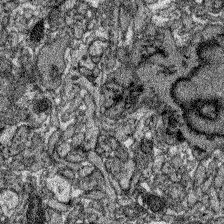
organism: Zebrafish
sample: Larval olfactory bulb